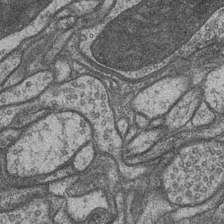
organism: Drosophila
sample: Optic medulla